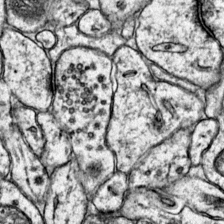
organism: Mouse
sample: Primary visual cortex